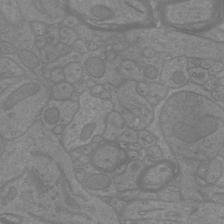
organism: Mouse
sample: Cortical neurons